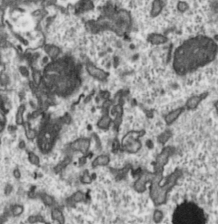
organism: Toxoplasma gondii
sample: Parasites in a vacuole inside a host cell